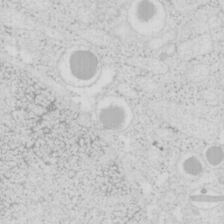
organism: Mouse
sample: Pancreas